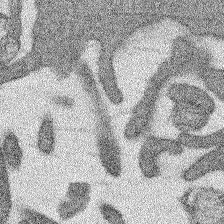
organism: Human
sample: HeLa cells